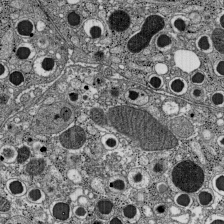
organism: C57BL Mouse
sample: Pancreatic islet